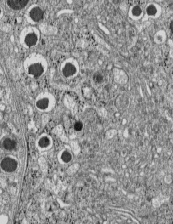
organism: C57BL Mouse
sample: Pancreatic islet